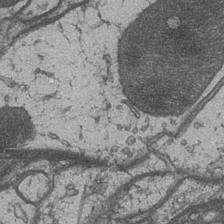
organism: Drosophila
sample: Optic medulla